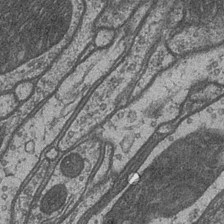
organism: Drosophila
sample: Optic medulla